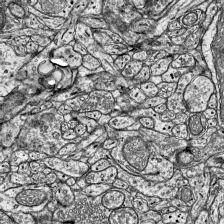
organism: Mouse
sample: Visual Cortex